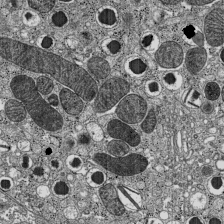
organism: C57BL Mouse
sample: Pancreatic islet